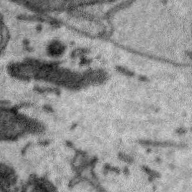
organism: Zebra finch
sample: Brain